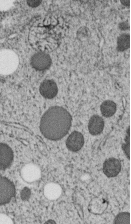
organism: C. elegans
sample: C. elegans embryo early stage